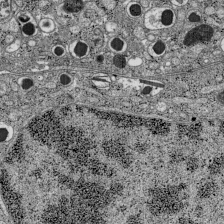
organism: C57BL Mouse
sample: Pancreatic islet